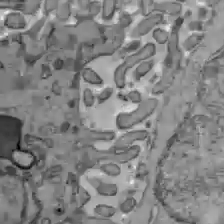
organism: C57BL Mouse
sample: Liver